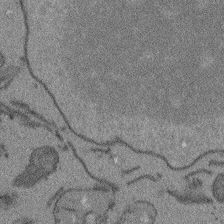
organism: Arabidopsis thaliana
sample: Root tip